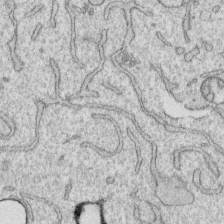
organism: Human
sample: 1205lu cells